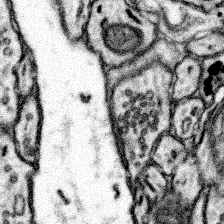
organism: Mouse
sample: Somatosensory cortex neuropil